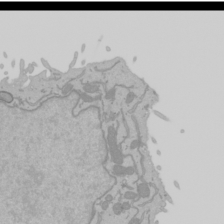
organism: Mouse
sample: Cancer cell death in ED-1 cells